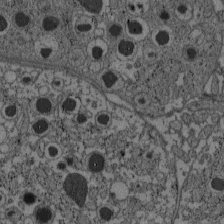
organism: C57BL Mouse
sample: Pancreatic islet